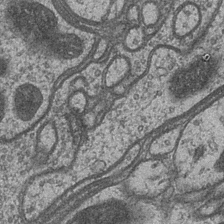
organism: Drosophila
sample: Optic medulla